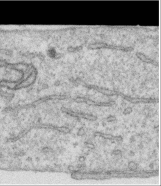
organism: Human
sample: Centriole in RPE cells